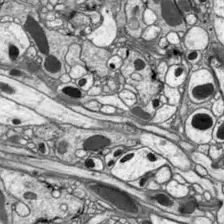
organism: Drosophila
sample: Optic lobe